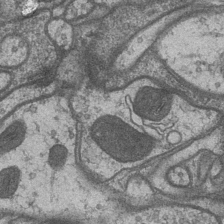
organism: Drosophila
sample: Optic medulla